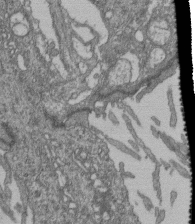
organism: Human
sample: Retinal organoid Rod and Cone cells